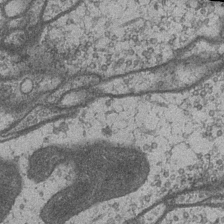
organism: Drosophila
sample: Optic medulla